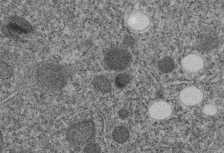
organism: C. elegans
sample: C. elegans embryo early stage